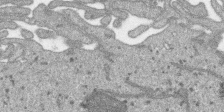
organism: Human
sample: Lung epithelial cells infected with SARS-CoV-2